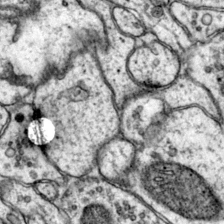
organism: Mouse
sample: Primary visual cortex